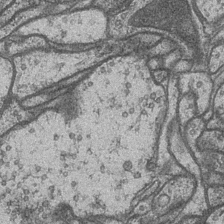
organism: Drosophila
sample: Optic medulla